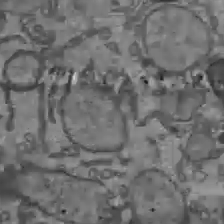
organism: C57BL Mouse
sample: Liver